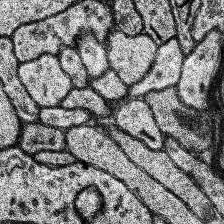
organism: Human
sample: Temporal Lobe